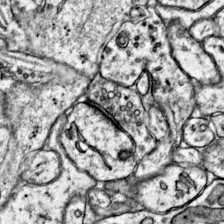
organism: Mouse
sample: Primary visual cortex